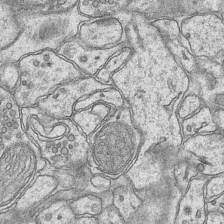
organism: Mouse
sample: CA1 Hippocampus